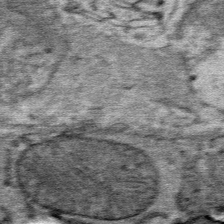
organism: Mouse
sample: Mouse Salivary gland